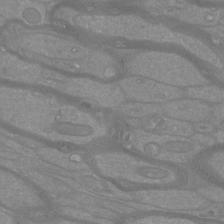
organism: Mouse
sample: Cortical neurons